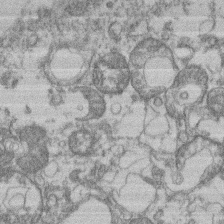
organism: Mouse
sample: T cell stromal cell synapse